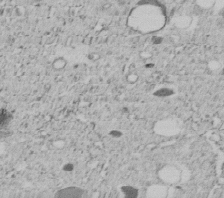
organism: C. elegans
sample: C. elegans embryo early stage